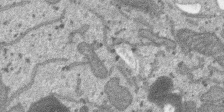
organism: Human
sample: Lung epithelial cells infected with SARS-CoV-2